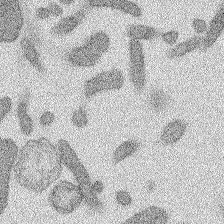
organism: Human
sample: HeLa cells